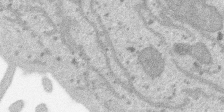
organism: Human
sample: Lung epithelial cells infected with SARS-CoV-2